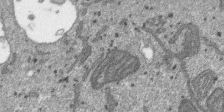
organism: Human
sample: Lung epithelial cells infected with SARS-CoV-2